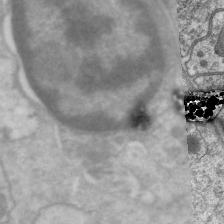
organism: C. elegans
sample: Pharynx